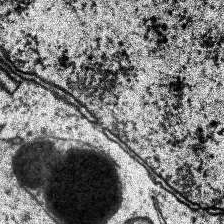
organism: Human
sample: Temporal Lobe